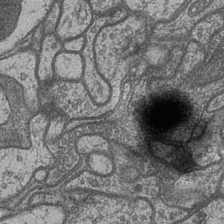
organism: Drosophila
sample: Optic medulla